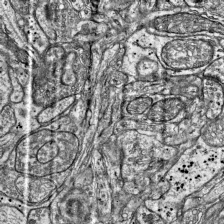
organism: Mouse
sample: Visual Cortex